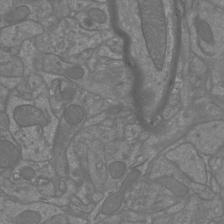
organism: Mouse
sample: Cortical neurons